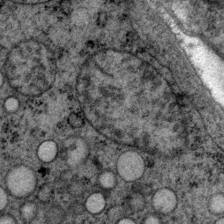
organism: P. pacificus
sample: Pharynx